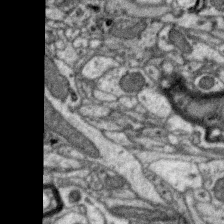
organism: Zebra finch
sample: Brain